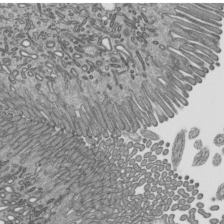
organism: Mouse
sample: Mouse epididymis efferent ductule cilia